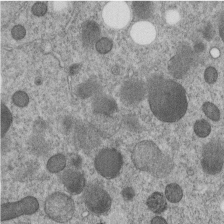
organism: C. elegans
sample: C. elegans embryo early stage